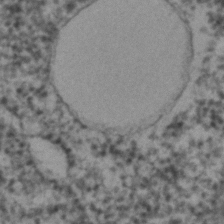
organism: C. elegans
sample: C. elegans embryo